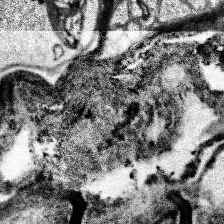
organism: Human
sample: Temporal Lobe